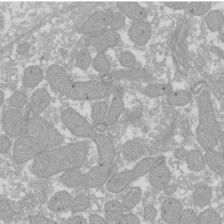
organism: Xenopus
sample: Cilia; centrioles in frog embryo cells